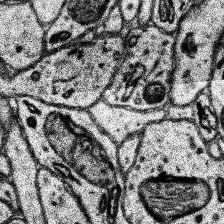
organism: Human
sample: Temporal Lobe